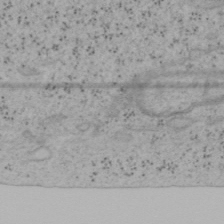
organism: Human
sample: HeLa cells